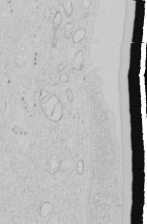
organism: Human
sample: Mitochondria in HCT116 cells